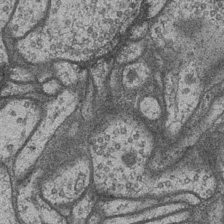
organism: Drosophila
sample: Optic medulla